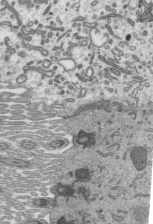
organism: Mouse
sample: Mouse epididymis efferent ductule cilia